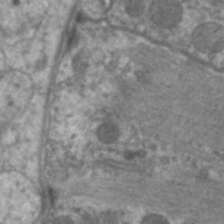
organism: C. elegans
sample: Pharynx